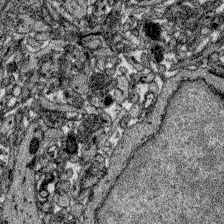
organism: Zebrafish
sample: Larval olfactory bulb